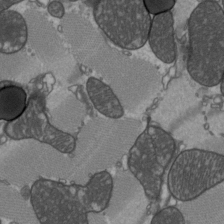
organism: C57BL Mouse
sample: Heart